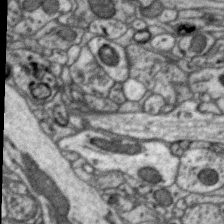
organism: Zebra finch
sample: Brain